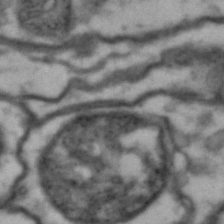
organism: Drosophila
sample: Brain